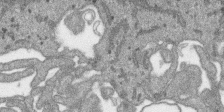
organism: Human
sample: Lung epithelial cells infected with SARS-CoV-2